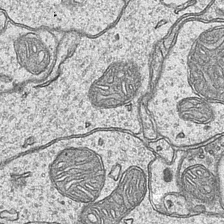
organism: Mouse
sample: CA1 Hippocampus